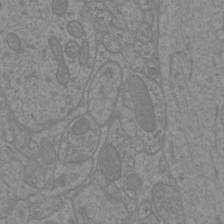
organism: Mouse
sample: Cortical neurons